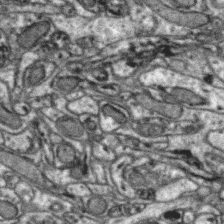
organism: Zebra finch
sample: Brain